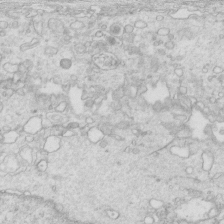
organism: Mouse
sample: Multiciliated cells